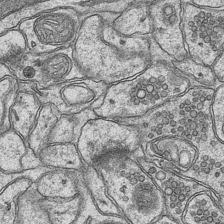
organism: Mouse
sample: CA1 Hippocampus